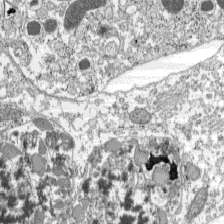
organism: C57BL Mouse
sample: Pancreatic islet